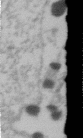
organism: Human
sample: U2-OS cells